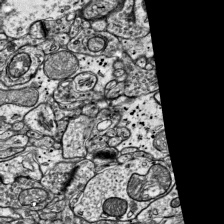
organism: Mouse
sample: Visual Cortex